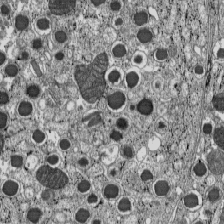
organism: C57BL Mouse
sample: Pancreatic islet